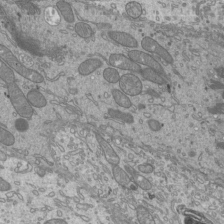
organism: Mouse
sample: Cilia; mouse epididymis